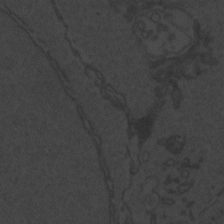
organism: Zebrafish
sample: Macrophage infected with Toxoplasma gondii